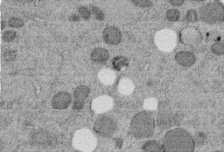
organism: C. elegans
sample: C. elegans embryo early stage